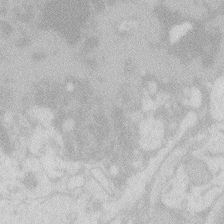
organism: Zebrafish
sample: Macrophage